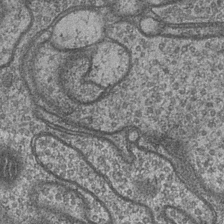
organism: Drosophila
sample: Optic medulla